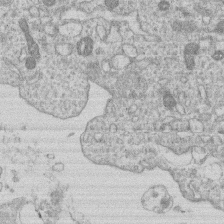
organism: Human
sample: Macrophage cells